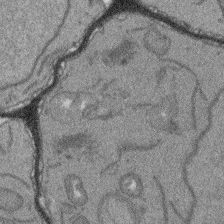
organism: Arabidopsis thaliana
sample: Root tip